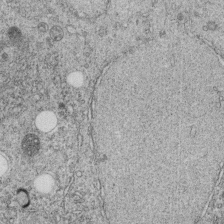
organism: C. elegans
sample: C. elegans embryo early stage